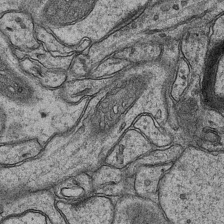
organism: Mouse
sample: CA1 Hippocampus